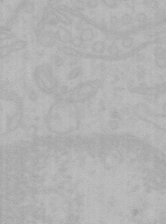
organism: Mouse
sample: Choroid plexus